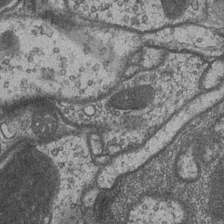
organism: Drosophila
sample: Optic medulla